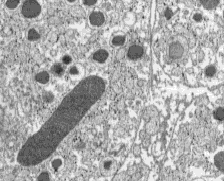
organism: C57BL Mouse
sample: Pancreatic islet